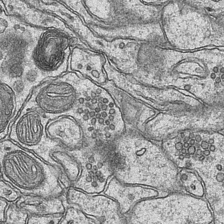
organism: Mouse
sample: CA1 Hippocampus